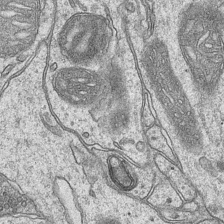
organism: Mouse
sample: CA1 Hippocampus